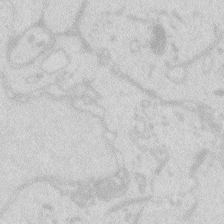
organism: Zebrafish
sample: Macrophage